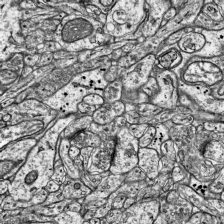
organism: Mouse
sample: Visual Cortex